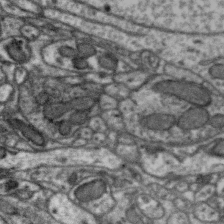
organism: Zebra finch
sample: Brain